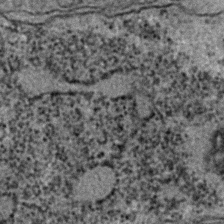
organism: C. elegans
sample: C. elegans embryo